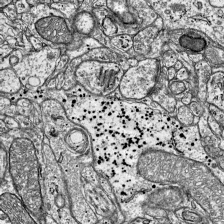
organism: Mouse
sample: Visual Cortex